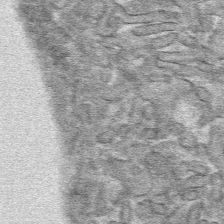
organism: Mouse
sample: Mouse hepatocytes